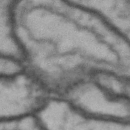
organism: Drosophila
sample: Brain